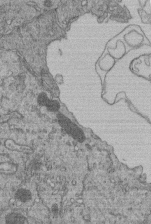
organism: Human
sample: Retinal organoid Rod and Cone cells